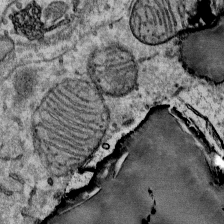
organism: Mouse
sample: Mouse Salivary gland